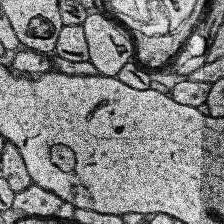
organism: Human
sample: Temporal Lobe